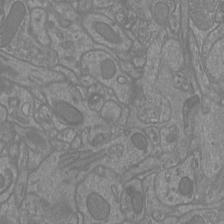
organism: Mouse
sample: Cortical neurons